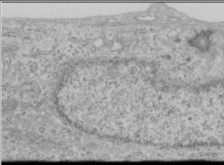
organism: Human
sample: Cilia; basal body in RPE cells